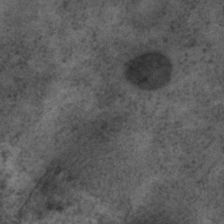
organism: C. elegans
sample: C. elegans embryo